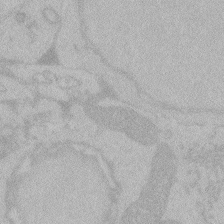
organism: Zebrafish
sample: Macrophage infected with Toxoplasma gondii